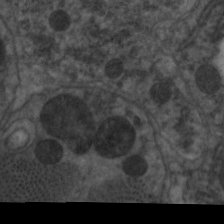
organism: C. elegans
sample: Pharynx